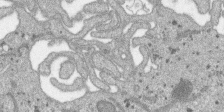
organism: Human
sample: Lung epithelial cells infected with SARS-CoV-2